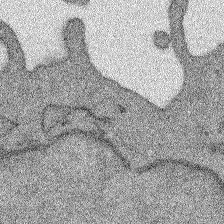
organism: Human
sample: HeLa cells